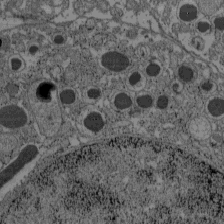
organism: C57BL Mouse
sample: Pancreatic islet